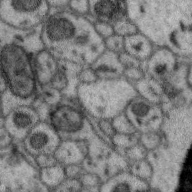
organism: Zebra finch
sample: Brain